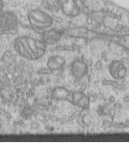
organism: Human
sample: Centriole in RPE cells